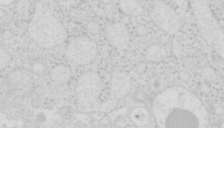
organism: Mouse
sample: Pancreas